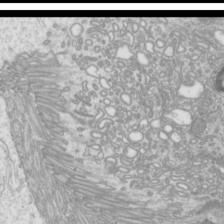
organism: Mouse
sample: Cilia; mouse epididymis